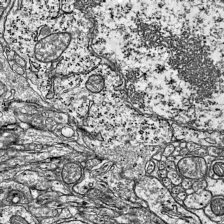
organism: Mouse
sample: Visual Cortex